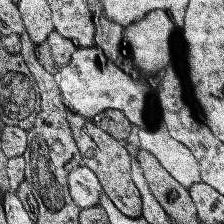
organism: Human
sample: Temporal Lobe